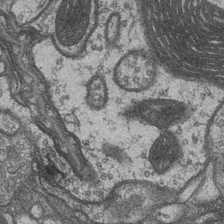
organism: Drosophila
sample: Optic medulla